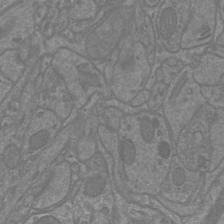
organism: Mouse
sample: Cortical neurons